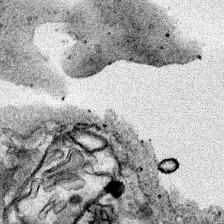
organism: Human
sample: Mitochondria in HCT116 cells